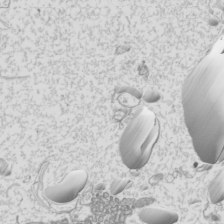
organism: Mouse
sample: Cilia; mouse epididymis